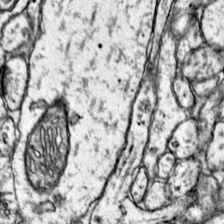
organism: Mouse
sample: Primary visual cortex